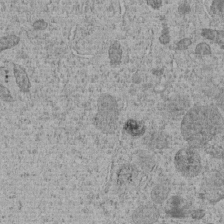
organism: C. elegans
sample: C. elegans embryo early stage